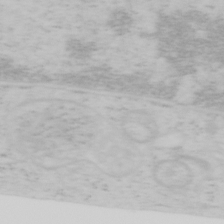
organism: Mouse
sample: OT-I killer T cells with ID8 ovarian cancer cells